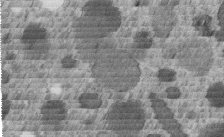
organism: C. elegans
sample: C. elegans embryo early stage